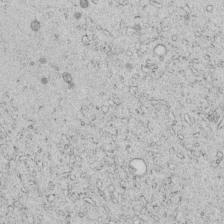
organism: C. elegans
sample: C. elegans embryo early stage